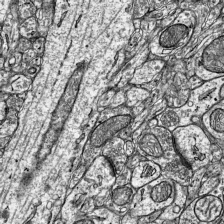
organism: Mouse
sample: Visual Cortex